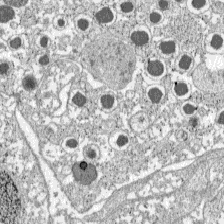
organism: C57BL Mouse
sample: Pancreatic islet